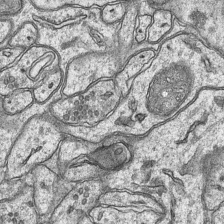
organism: Mouse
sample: CA1 Hippocampus